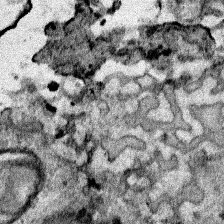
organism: Human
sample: Mitochondria in HCT116 cells